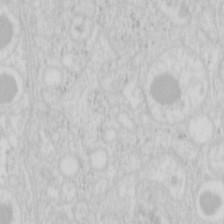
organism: Mouse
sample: Pancreas